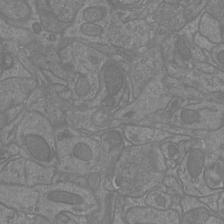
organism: Mouse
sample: Cortical neurons